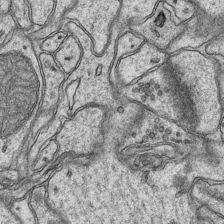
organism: Mouse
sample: CA1 Hippocampus